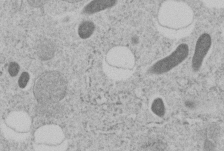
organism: C. elegans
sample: C. elegans embryo early stage